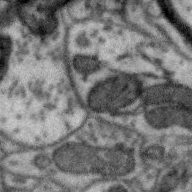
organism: Zebra finch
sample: Brain